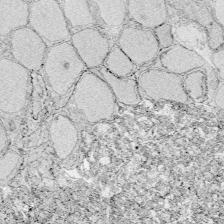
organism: Zebrafish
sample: Whole-Brain